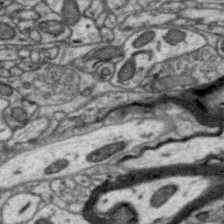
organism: Zebra finch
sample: Brain